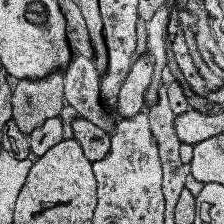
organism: Human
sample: Temporal Lobe